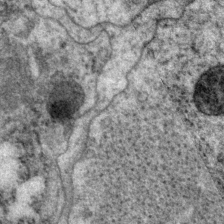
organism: P. pacificus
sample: Pharynx